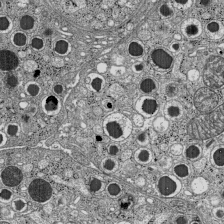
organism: C57BL Mouse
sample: Pancreatic islet